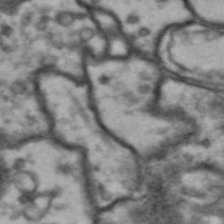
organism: Drosophila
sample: Brain